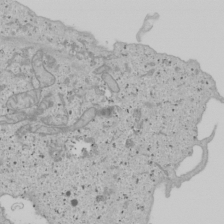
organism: Human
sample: Mitochondria in U2OS cells